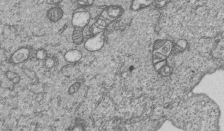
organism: Human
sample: MDA-MB-231 cells